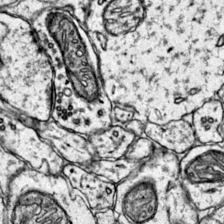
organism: Mouse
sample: Primary visual cortex